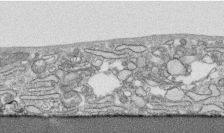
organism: Human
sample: CRL-1474